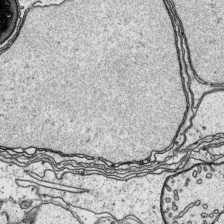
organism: Platynereis dumerilii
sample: Parapodia